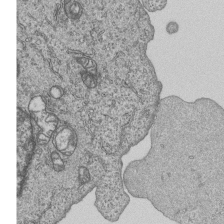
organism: Human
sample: MDA-MB-231 cells